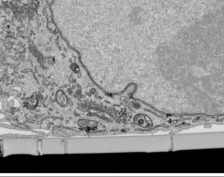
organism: Human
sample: Mitochondria in HCT116 cells